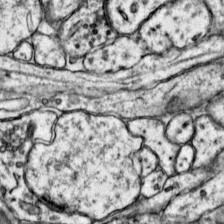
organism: Mouse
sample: Primary visual cortex